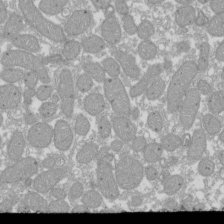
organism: Xenopus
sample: Cilia; centrioles in frog embryo cells